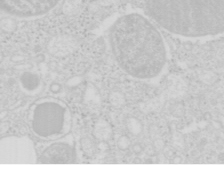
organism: Mouse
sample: Pancreas